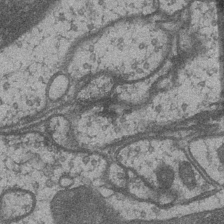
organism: Drosophila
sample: Optic medulla